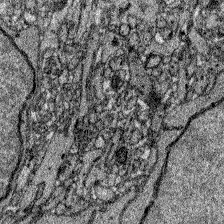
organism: Zebrafish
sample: Larval olfactory bulb